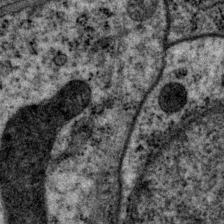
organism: P. pacificus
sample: Pharynx